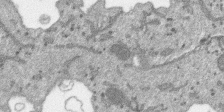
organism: Human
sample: Lung epithelial cells infected with SARS-CoV-2